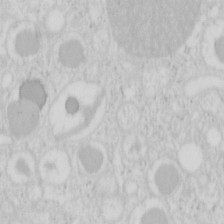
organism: Mouse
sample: Pancreas